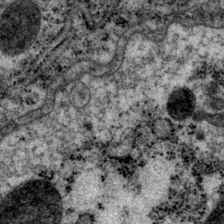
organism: P. pacificus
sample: Pharynx